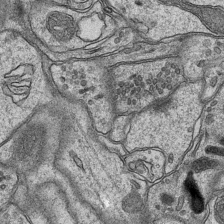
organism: Mouse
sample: CA1 Hippocampus